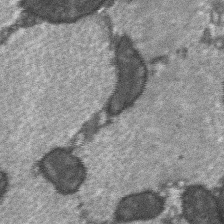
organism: C57BL Mouse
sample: Soleus